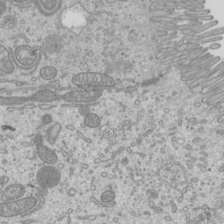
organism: Mouse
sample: Cilia; mouse epididymis